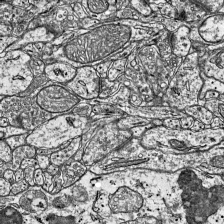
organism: Mouse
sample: Visual Cortex